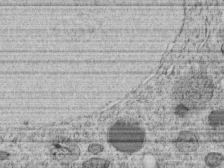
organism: C. elegans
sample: C. elegans embryo early stage